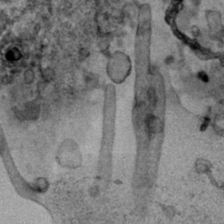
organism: Human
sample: Mitochondria in HCT116 cells